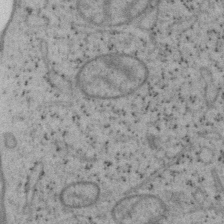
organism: Human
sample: HeLa cells